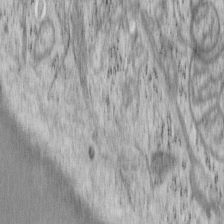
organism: Human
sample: HeLa cells